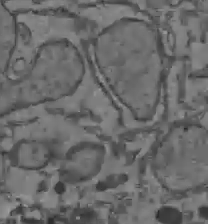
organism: C57BL Mouse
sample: Liver